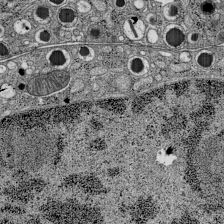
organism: C57BL Mouse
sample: Pancreatic islet